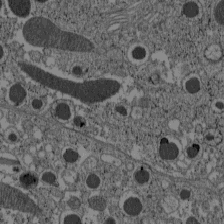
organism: C57BL Mouse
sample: Pancreatic islet